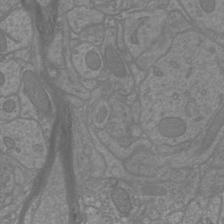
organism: Mouse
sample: Cortical neurons